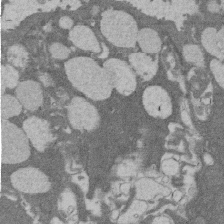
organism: Rat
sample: Salivary granule